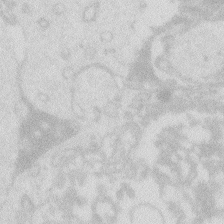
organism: Zebrafish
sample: Macrophage